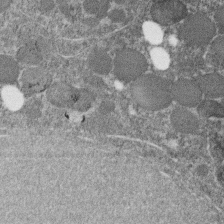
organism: C. elegans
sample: C. elegans embryo early stage